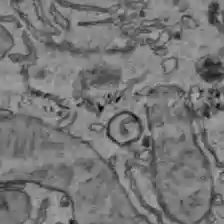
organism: C57BL Mouse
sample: Liver